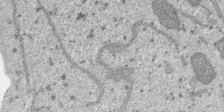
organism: Human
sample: Lung epithelial cells infected with SARS-CoV-2